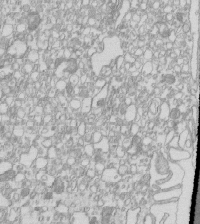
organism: Mouse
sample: Macrophages